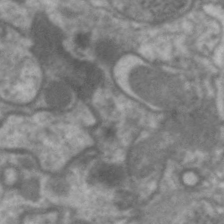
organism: C. elegans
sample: Pharynx